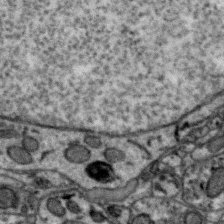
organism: Zebra finch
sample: Brain